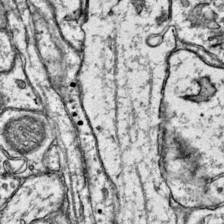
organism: Mouse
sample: Primary visual cortex